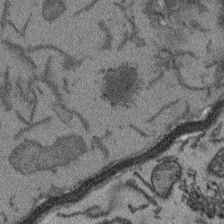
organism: Arabidopsis thaliana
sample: Root tip